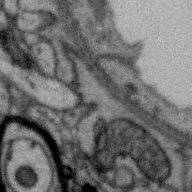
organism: Zebra finch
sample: Brain